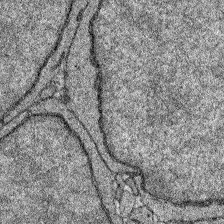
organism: Zebrafish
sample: Larval olfactory bulb